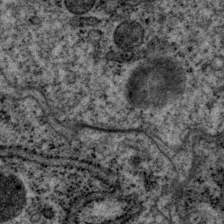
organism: P. pacificus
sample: Pharynx